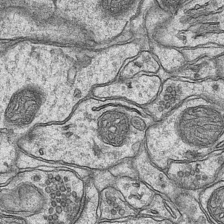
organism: Mouse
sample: CA1 Hippocampus